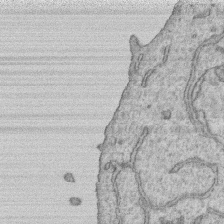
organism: Human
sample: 1205lu cells